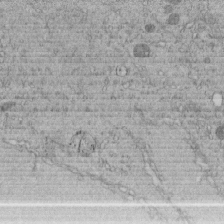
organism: C. elegans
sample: C. elegans embryo early stage